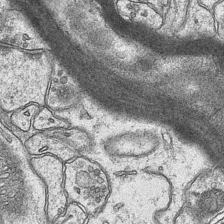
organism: Mouse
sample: CA1 Hippocampus